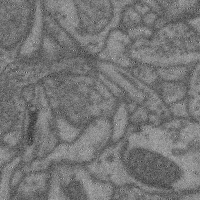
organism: Mouse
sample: Cerebral cortex